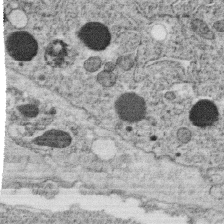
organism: C. elegans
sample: C. elegans oocyte; sperm cells